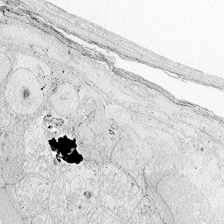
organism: Zebrafish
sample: Whole-Brain